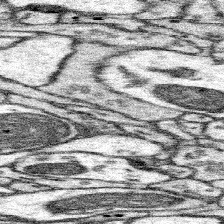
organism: Mouse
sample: Somatosensory cortex neuropil